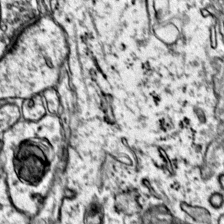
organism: Mouse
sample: Primary visual cortex